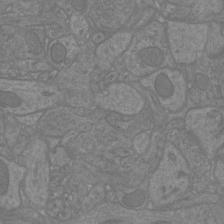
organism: Mouse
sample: Cortical neurons